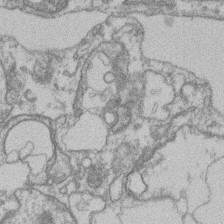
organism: Mouse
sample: T cell stromal cell synapse